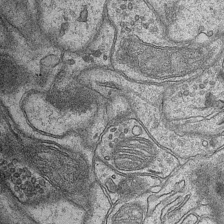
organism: Mouse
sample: CA1 Hippocampus